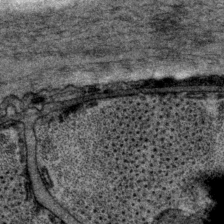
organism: P. pacificus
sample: Pharynx